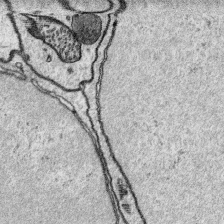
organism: Platynereis dumerilii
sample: Parapodia